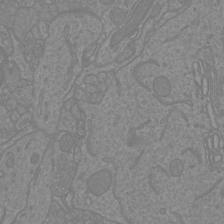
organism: Mouse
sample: Cortical neurons